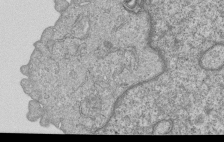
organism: Human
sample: MDA-MB-231 cells